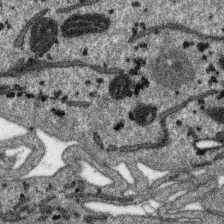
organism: Human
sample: Lung epithelial cells infected with SARS-CoV-2